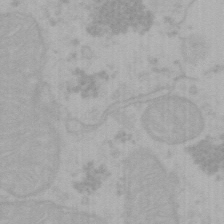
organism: Mouse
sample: Choroid plexus